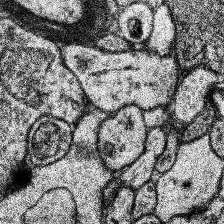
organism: Human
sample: Temporal Lobe